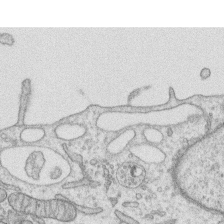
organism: Human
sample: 1205lu cells